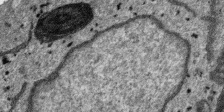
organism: Human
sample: Lung epithelial cells, uninfected (mock) control